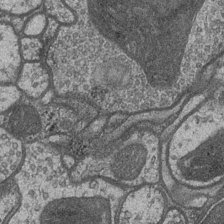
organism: Drosophila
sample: Optic medulla